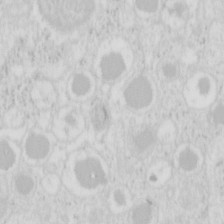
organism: Mouse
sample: Pancreas